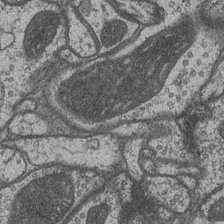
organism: Drosophila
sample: Optic medulla